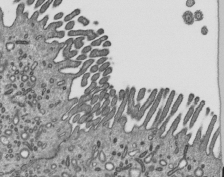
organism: Mouse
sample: Mouse epididymis efferent ductule cilia